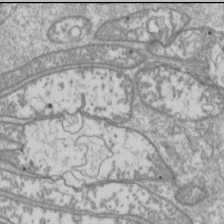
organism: Drosophila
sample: Cell division; meiosis; drosophila spermatocytes